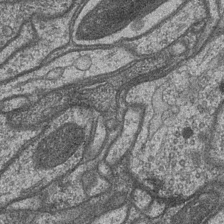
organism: Drosophila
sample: Optic medulla